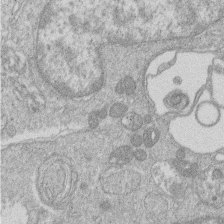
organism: Human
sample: Macrophage cells